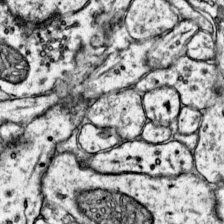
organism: Mouse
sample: Primary visual cortex